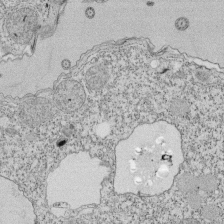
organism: Tetrahymena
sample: Cilia in tetrahymena